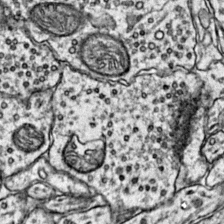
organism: Mouse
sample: Primary visual cortex